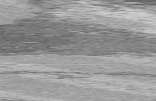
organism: C57BL Mouse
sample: Heart